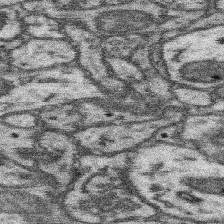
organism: Mouse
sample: Somatosensory cortex neuropil